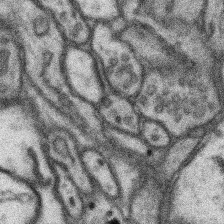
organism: Mouse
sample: Somatosensory cortex neuropil